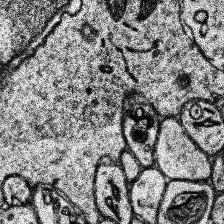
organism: Human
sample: Temporal Lobe